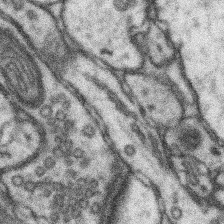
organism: Mouse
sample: Somatosensory cortex neuropil